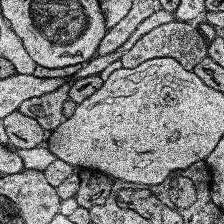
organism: Human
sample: Temporal Lobe